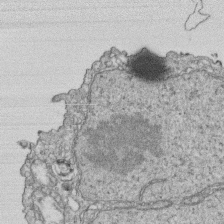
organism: Human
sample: HeLa cell HIV synapse